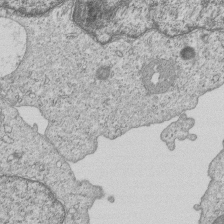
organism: Human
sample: MDA-MB-231 cells